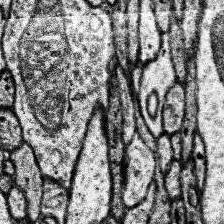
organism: Human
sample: Temporal Lobe